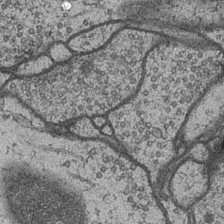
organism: Drosophila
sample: Optic medulla